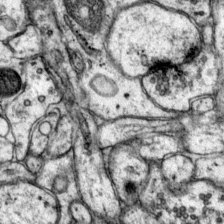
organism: Mouse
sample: Primary visual cortex